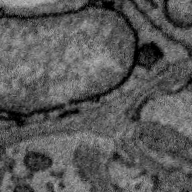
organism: Zebra finch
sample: Brain